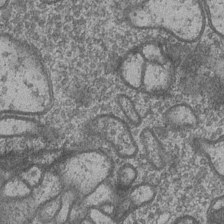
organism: Drosophila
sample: Optic medulla